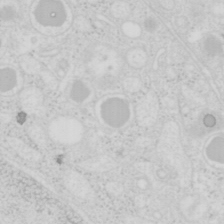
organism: Mouse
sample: Pancreas